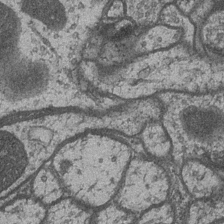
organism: Drosophila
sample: Optic medulla